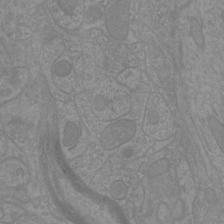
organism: Mouse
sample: Cortical neurons